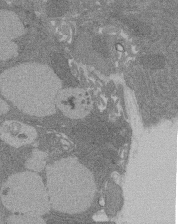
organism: Rat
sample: Salivary granule